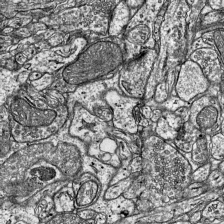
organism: Mouse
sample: Visual Cortex